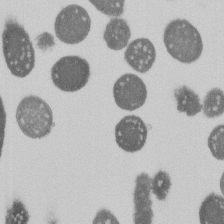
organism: E. coli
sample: Bacterial nucleoid